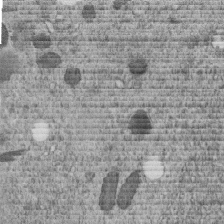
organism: C. elegans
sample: C. elegans embryo early stage